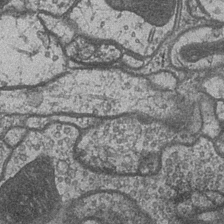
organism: Drosophila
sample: Optic medulla